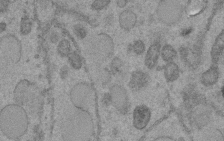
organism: C. elegans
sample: C. elegans embryo early stage